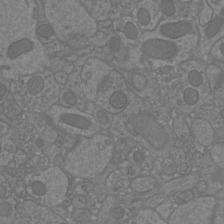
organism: Mouse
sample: Cortical neurons